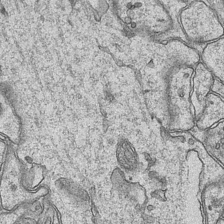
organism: Mouse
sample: CA1 Hippocampus